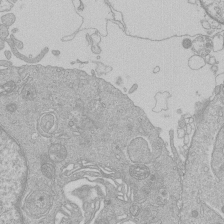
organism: Human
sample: Macrophage cells